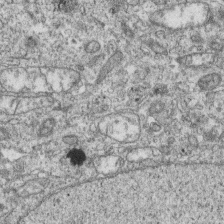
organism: Human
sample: HeLa cell HIV synapse